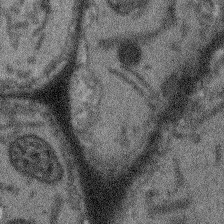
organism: Arabidopsis thaliana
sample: Root tip